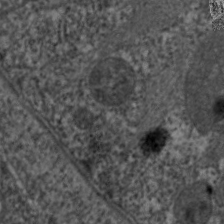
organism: C. elegans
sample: Pharynx